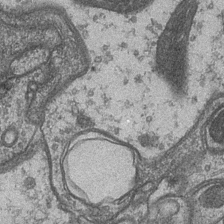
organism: Drosophila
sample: Optic medulla